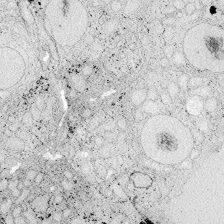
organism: Zebrafish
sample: Whole-Brain